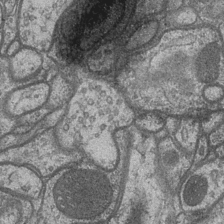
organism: Drosophila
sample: Optic medulla